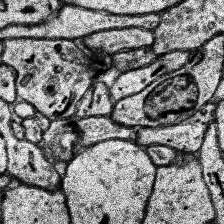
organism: Human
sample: Temporal Lobe